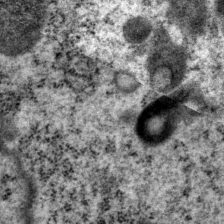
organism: P. pacificus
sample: Pharynx